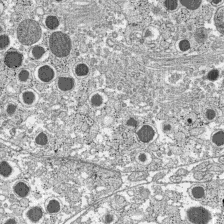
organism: C57BL Mouse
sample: Pancreatic islet